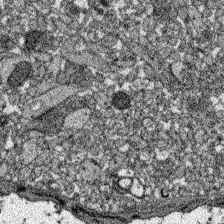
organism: Zebrafish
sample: Larval olfactory bulb